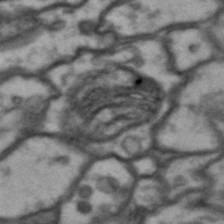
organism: Drosophila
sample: Brain